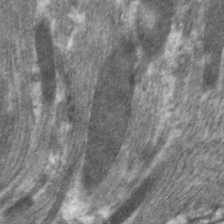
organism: C. elegans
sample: Pharynx